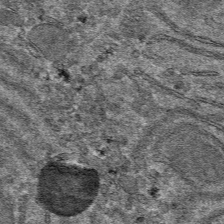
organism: Mouse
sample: Mouse hepatocytes